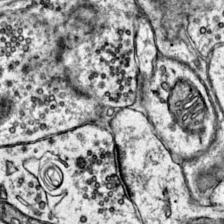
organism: Mouse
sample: Primary visual cortex